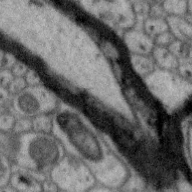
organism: Zebra finch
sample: Brain